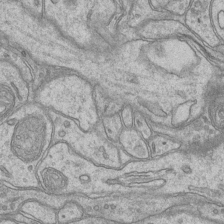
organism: Mouse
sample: CA1 Hippocampus